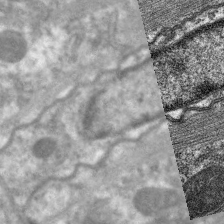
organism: C. elegans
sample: Pharynx